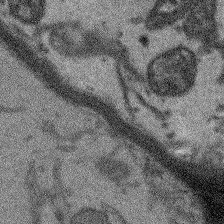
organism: Arabidopsis thaliana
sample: Root tip